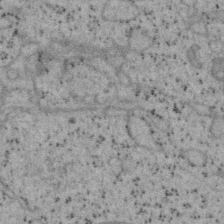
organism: Human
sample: HeLa cells